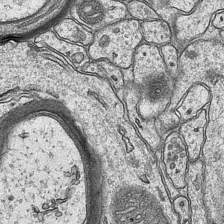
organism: Mouse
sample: CA1 Hippocampus